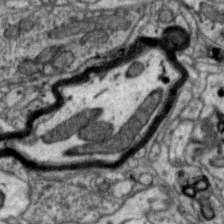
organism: Zebra finch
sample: Brain